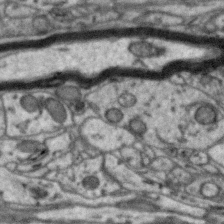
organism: Zebra finch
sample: Brain